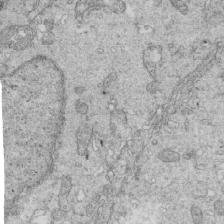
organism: Mouse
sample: Multiciliated cells